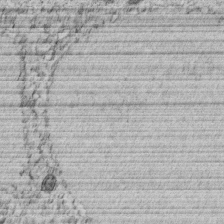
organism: C. elegans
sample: C. elegans embryo early stage